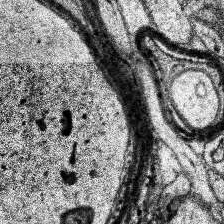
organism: Human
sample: Temporal Lobe